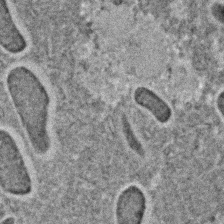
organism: C. elegans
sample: C. elegans embryo